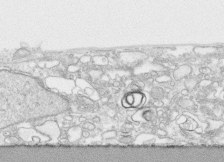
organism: Human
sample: CRL-1474